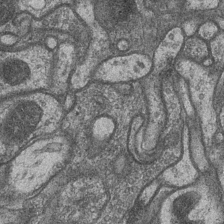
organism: Drosophila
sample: Optic medulla